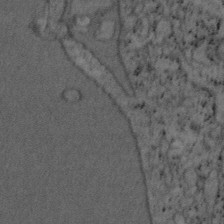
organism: Human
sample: HeLa cells